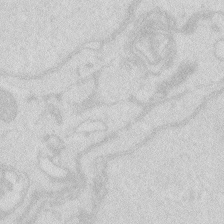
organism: Zebrafish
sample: Macrophage